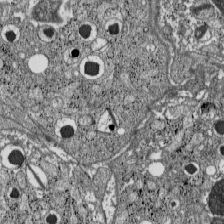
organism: C57BL Mouse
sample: Pancreatic islet